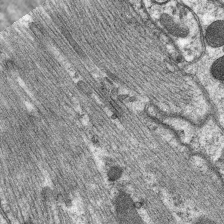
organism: C. elegans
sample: Pharynx